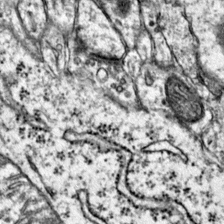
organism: Mouse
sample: Primary visual cortex